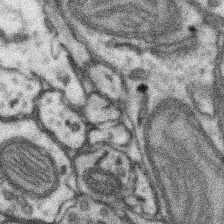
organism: Mouse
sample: Somatosensory cortex neuropil